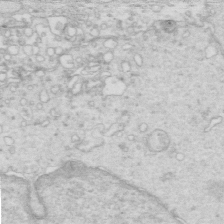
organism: Mouse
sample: Multiciliated cells